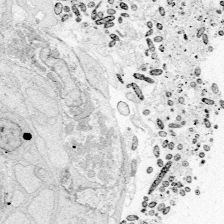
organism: Zebrafish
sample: Whole-Brain